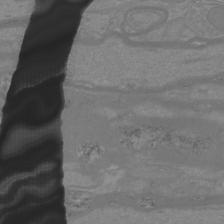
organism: Mouse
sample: Cortical neurons